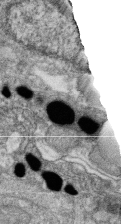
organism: Zebrafish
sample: Cilia; retinal pigment epithelium